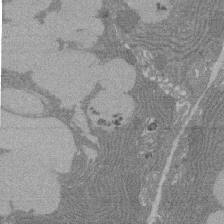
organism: Rat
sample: Salivary granule